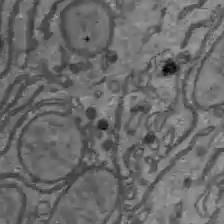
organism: C57BL Mouse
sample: Liver